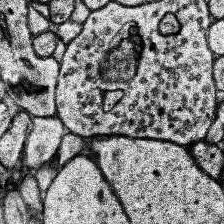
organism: Human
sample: Temporal Lobe